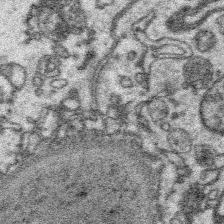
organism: Platynereis dumerilii